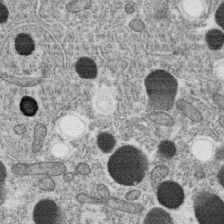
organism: C. elegans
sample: C. elegans oocyte; sperm cells